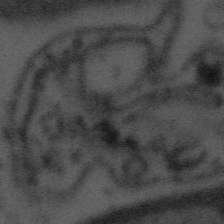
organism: Tuwongella immobilis